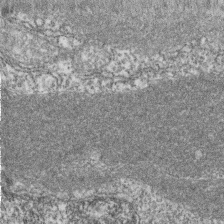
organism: Zebrafish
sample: Cilia; retinal pigment epithelium